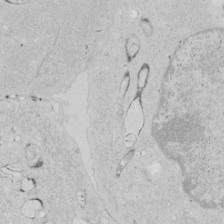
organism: Human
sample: Mitochondria in HCT116 cells